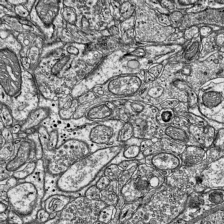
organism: Mouse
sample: Visual Cortex